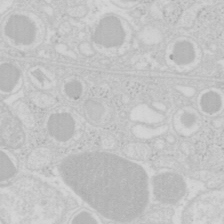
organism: Mouse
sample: Pancreas